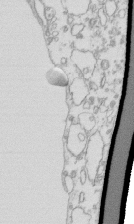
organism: Mouse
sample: Macrophages